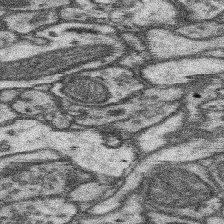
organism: Mouse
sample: Somatosensory cortex neuropil